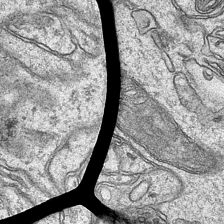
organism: Mouse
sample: CA1 Hippocampus